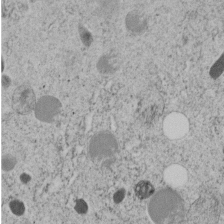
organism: C. elegans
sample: C. elegans embryo early stage